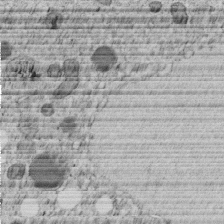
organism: C. elegans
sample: C. elegans embryo early stage